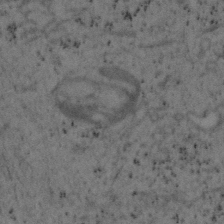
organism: Human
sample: HeLa cells